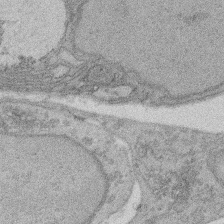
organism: Rat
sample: Salivary granule